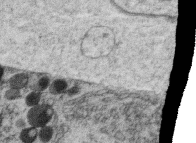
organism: C. elegans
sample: C. elegans oocyte; sperm cells